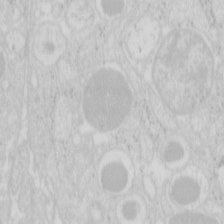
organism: Mouse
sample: Pancreas